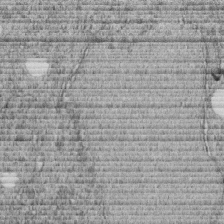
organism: C. elegans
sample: C. elegans embryo early stage